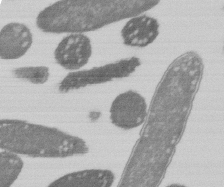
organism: E. coli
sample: Bacterial nucleoid